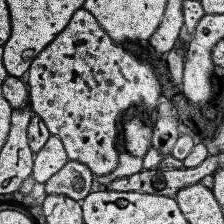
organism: Human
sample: Temporal Lobe